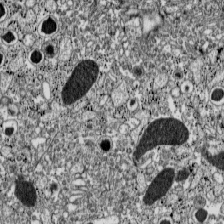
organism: C57BL Mouse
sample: Pancreatic islet